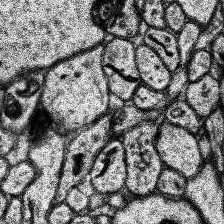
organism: Human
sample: Temporal Lobe